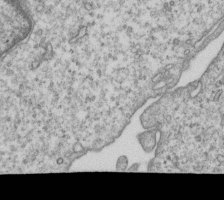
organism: Human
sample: MDA-MB-231 cells